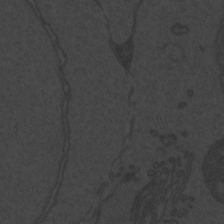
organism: Zebrafish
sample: Macrophage infected with Toxoplasma gondii